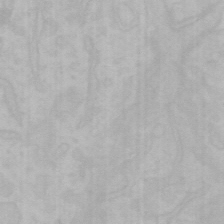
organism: Mouse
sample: Choroid plexus